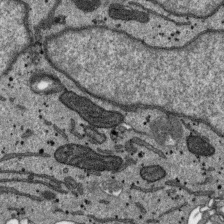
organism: Human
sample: Lung epithelial cells, uninfected (mock) control